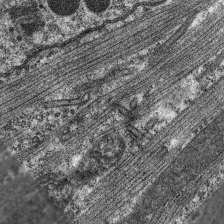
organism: C. elegans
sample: Pharynx